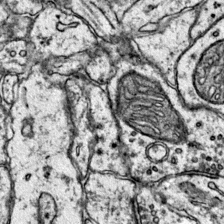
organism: Mouse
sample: Primary visual cortex